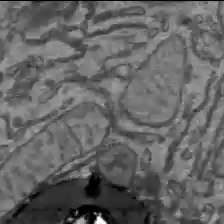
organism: C57BL Mouse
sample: Liver